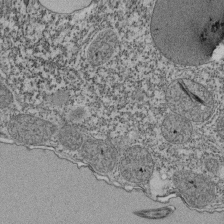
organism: Tetrahymena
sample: Cilia in tetrahymena